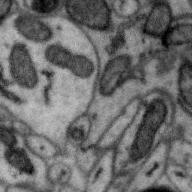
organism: Zebra finch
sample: Brain